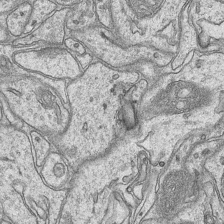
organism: Mouse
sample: CA1 Hippocampus